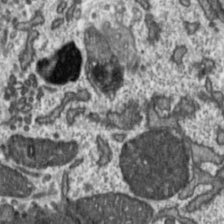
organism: Toxoplasma gondii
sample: Parasites in a vacuole inside a host cell